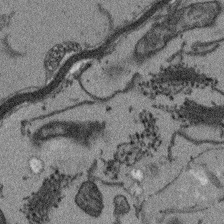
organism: Arabidopsis thaliana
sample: Root tip